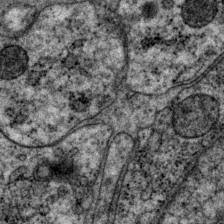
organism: P. pacificus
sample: Pharynx